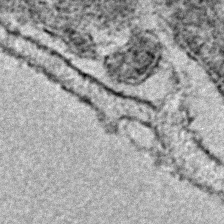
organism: E. coli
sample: E. Coli Bacteria